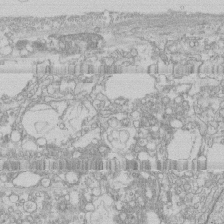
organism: Human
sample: CRL-1474